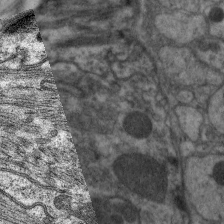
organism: C. elegans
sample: Pharynx